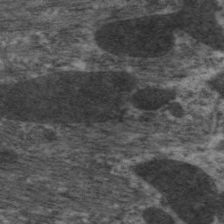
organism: C. elegans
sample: Pharynx